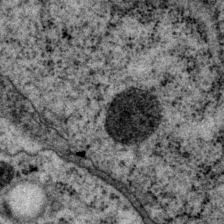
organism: P. pacificus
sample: Pharynx